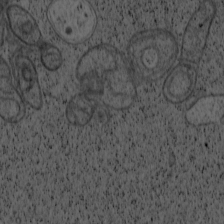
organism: African green monkey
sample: COS-7 cells